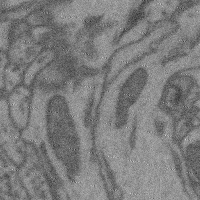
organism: Mouse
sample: Cerebral cortex